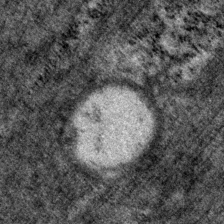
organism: P. pacificus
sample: Pharynx